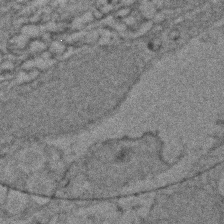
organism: Zebrafish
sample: Zebrafish embryo